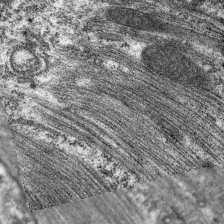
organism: C. elegans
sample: Pharynx